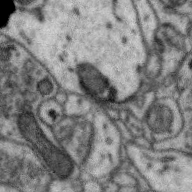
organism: Zebra finch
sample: Brain